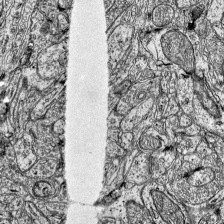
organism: Mouse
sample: Visual Cortex